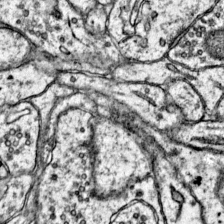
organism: Mouse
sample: Primary visual cortex